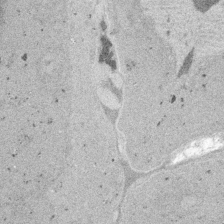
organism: Embia sp.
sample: Silk gland